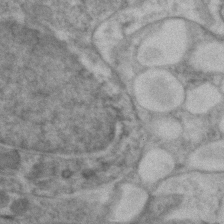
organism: Zebrafish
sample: Zebrafish embryo